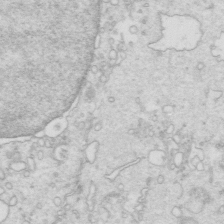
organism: Mouse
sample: Multiciliated cells